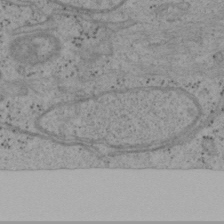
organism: Human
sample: HeLa cells